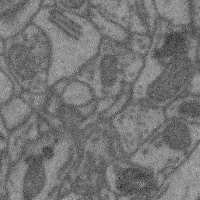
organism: Mouse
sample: Cerebral cortex